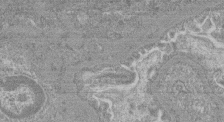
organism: Mouse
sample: Glomerulus